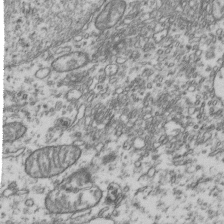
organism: Human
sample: Activated Jurkat CD4+ T cells